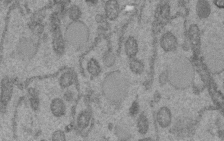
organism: C. elegans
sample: C. elegans embryo early stage